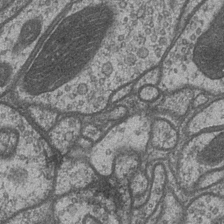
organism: Drosophila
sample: Optic medulla